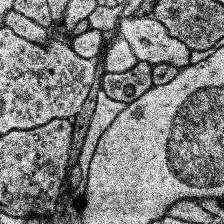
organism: Human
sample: Temporal Lobe